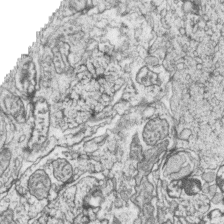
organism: Zebrafish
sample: synaptic ribbons in rod cells and cone cells